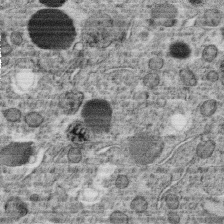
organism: C. elegans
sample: C. elegans oocyte; sperm cells